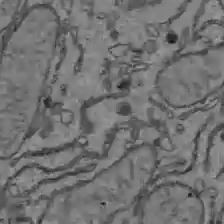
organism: C57BL Mouse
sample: Liver